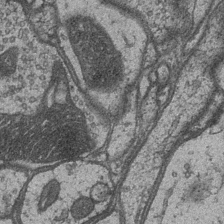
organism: Drosophila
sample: Optic medulla